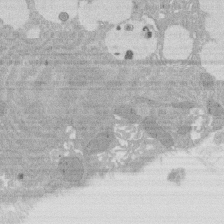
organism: Rat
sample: Salivary granule